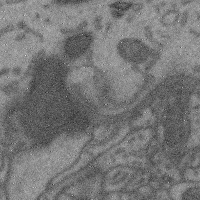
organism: Mouse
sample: Cerebral cortex